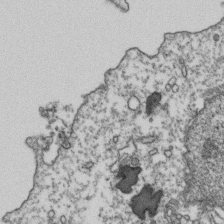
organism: Human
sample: Activated Jurkat CD4+ T cells